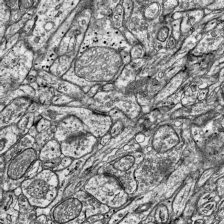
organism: Mouse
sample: Visual Cortex